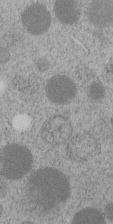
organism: C. elegans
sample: C. elegans embryo early stage